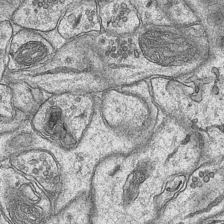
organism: Mouse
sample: CA1 Hippocampus